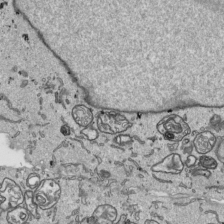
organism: Human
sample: Mitochondria in HCT116 cells